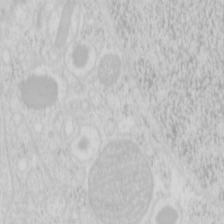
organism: Mouse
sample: Pancreas